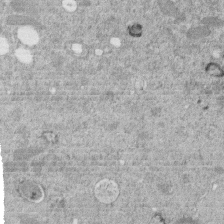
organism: C. elegans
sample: C. elegans embryo early stage